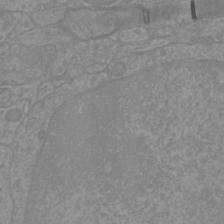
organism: Mouse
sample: Cortical neurons